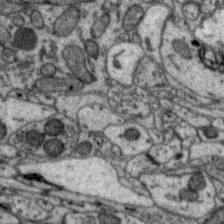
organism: Zebra finch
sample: Brain